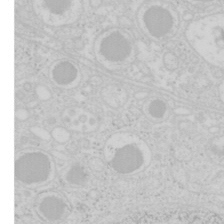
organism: Mouse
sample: Pancreas